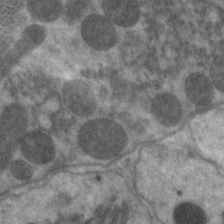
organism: C. elegans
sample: Pharynx